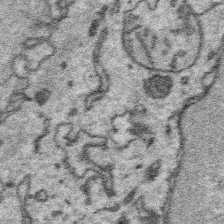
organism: Platynereis dumerilii